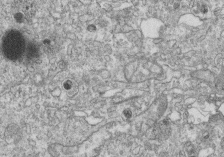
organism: Human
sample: HeLa cell HIV synapse